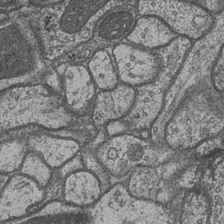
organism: Drosophila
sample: Optic medulla